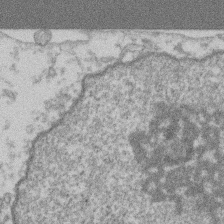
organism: Mouse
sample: T cell stromal cell synapse